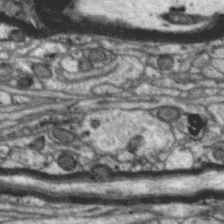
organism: Zebra finch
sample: Brain